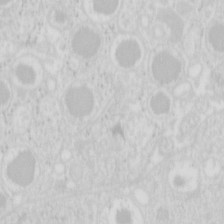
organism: Mouse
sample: Pancreas